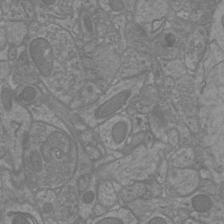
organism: Mouse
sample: Cortical neurons